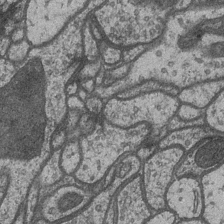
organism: Drosophila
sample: Optic medulla